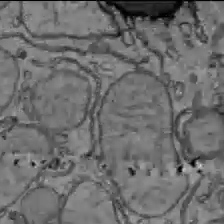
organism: C57BL Mouse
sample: Liver